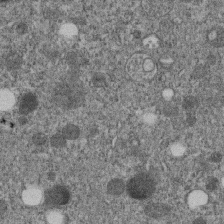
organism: C. elegans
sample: C. elegans embryo early stage